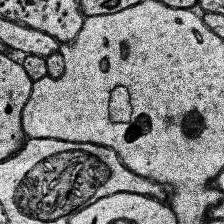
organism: Human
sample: Temporal Lobe